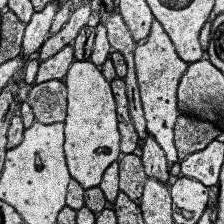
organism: Human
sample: Temporal Lobe